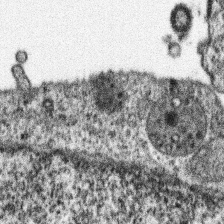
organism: Human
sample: HeLa cells